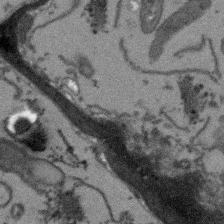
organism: Arabidopsis thaliana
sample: Root tip